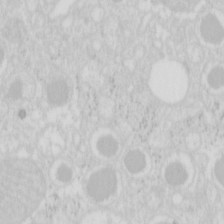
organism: Mouse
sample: Pancreas